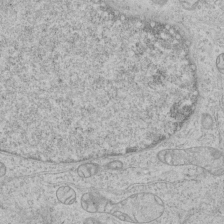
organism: Human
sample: Mitochondria in HCT116 cells